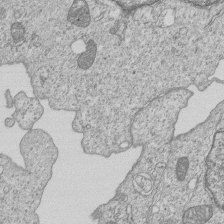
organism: Human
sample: MDA-MB-231 cells